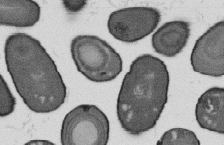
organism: B. subtilis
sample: Bacterial spore